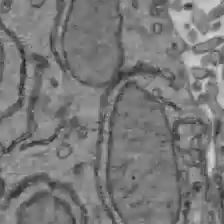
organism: C57BL Mouse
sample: Liver